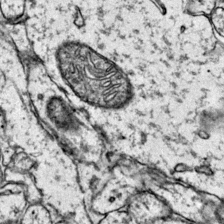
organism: Mouse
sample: Primary visual cortex